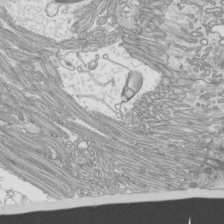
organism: Mouse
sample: Cilia; mouse epididymis